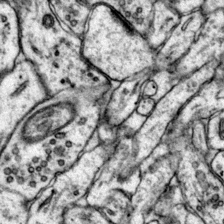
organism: Mouse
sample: Primary visual cortex